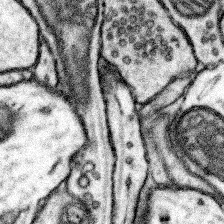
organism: Mouse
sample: Somatosensory cortex neuropil